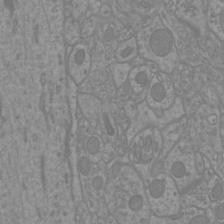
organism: Mouse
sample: Cortical neurons